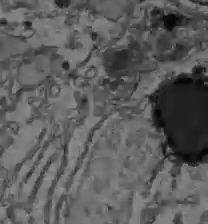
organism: C57BL Mouse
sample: Liver